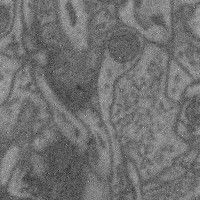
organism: Mouse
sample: Cerebral cortex